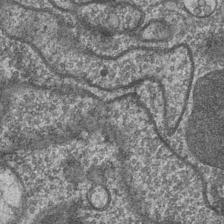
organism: Drosophila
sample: Optic medulla